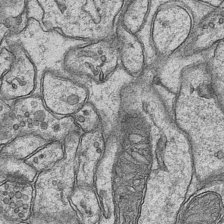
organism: Mouse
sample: CA1 Hippocampus